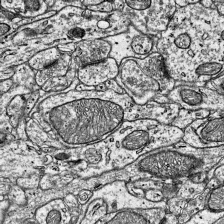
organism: Mouse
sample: Visual Cortex